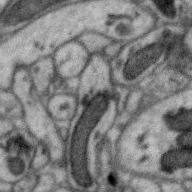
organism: Zebra finch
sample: Brain